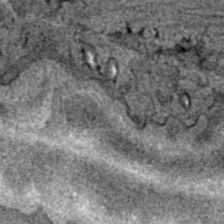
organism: C. elegans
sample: C. elegans embryo